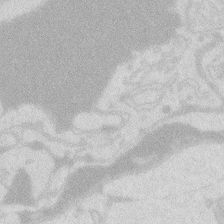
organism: Zebrafish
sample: Macrophage